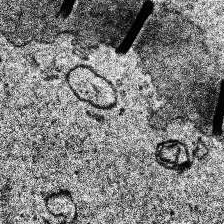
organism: Human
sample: Temporal Lobe